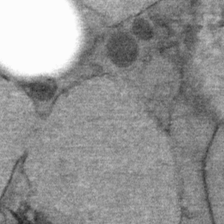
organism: Mouse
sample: Mouse Salivary gland